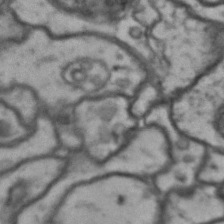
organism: Drosophila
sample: Brain